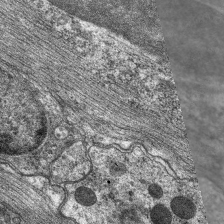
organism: C. elegans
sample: Pharynx